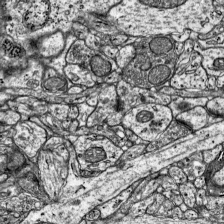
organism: Mouse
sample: Visual Cortex